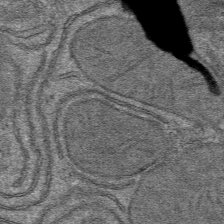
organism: Mouse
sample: Mouse hepatocytes